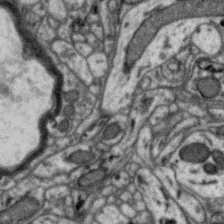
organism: Zebra finch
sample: Brain